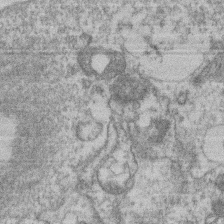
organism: Mouse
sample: T cell stromal cell synapse